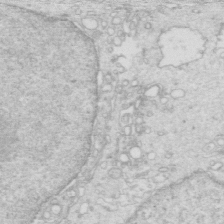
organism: Mouse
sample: Multiciliated cells